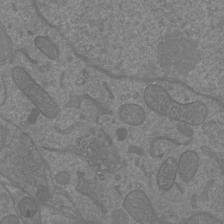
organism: Mouse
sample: Cortical neurons